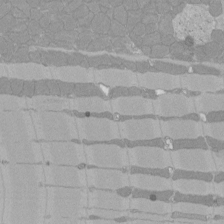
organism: Rat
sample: Left ventricle